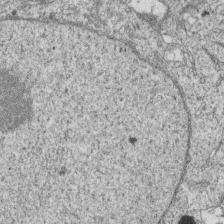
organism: Human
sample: HeLa cell HIV synapse